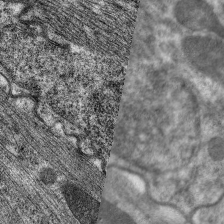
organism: C. elegans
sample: Pharynx